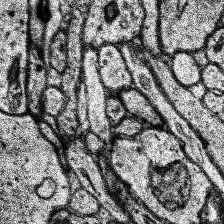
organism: Human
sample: Temporal Lobe